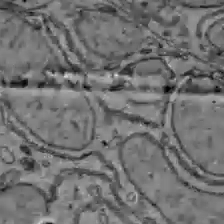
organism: C57BL Mouse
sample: Liver